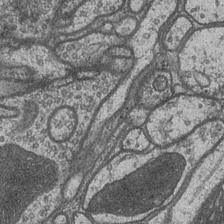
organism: Drosophila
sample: Optic medulla